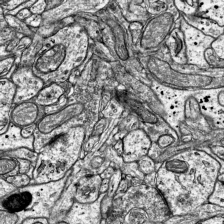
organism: Mouse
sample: Visual Cortex